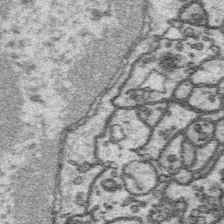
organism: Platynereis dumerilii